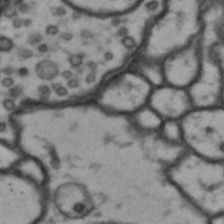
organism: Drosophila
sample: Brain